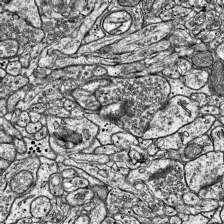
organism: Mouse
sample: Visual Cortex